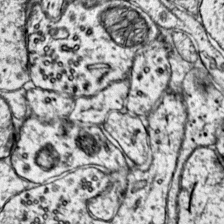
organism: Mouse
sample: Primary visual cortex